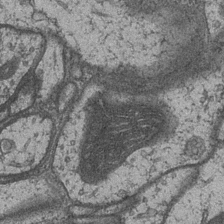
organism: Drosophila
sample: Optic medulla